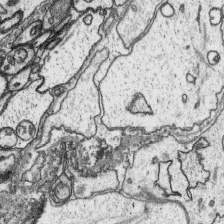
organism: Platynereis dumerilii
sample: Parapodia